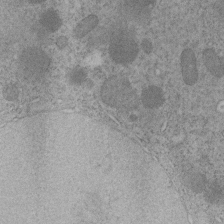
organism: C. elegans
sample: C. elegans embryo early stage